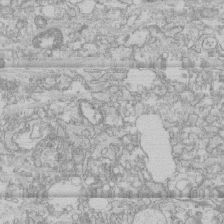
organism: Human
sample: CRL-1474